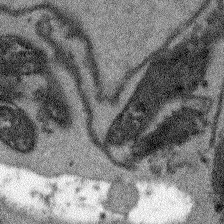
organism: Arabidopsis thaliana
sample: Root tip